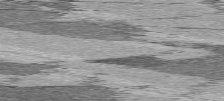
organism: C57BL Mouse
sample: Heart